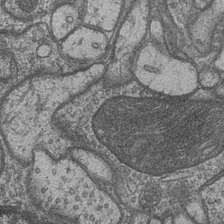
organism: Drosophila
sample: Optic medulla